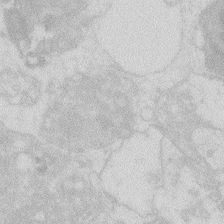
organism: Zebrafish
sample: Macrophage